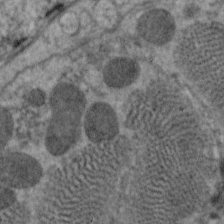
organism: C. elegans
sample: Pharynx